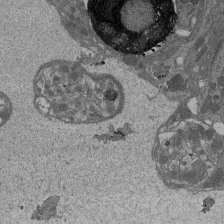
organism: Drosophila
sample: Antenna